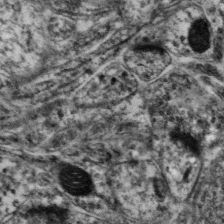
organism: Mouse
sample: Neocortex